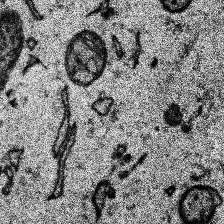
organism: Human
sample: Temporal Lobe